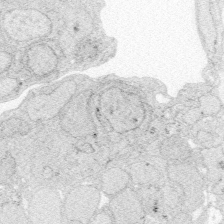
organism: Zebrafish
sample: Whole-Brain